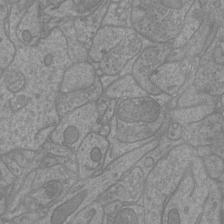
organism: Mouse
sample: Cortical neurons